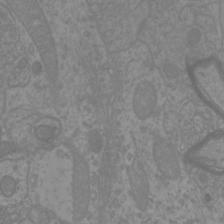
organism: Mouse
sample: Cortical neurons